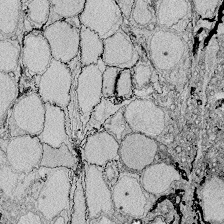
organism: Zebrafish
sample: Whole-Brain